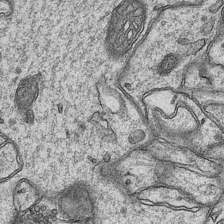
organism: Mouse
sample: CA1 Hippocampus